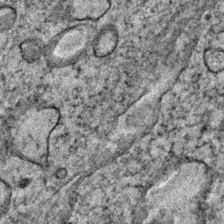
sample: Trachea